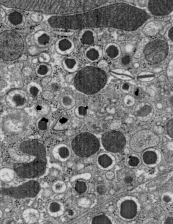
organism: C57BL Mouse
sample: Pancreatic islet